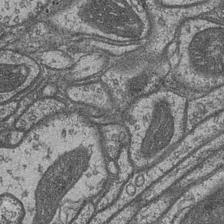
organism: Drosophila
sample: Optic medulla